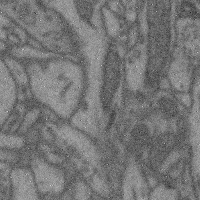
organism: Mouse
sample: Cerebral cortex